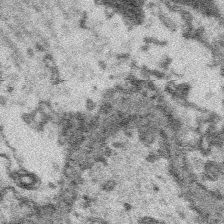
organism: Platynereis dumerilii